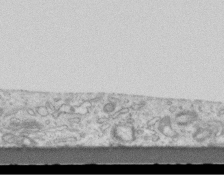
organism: Mouse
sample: Centriole in ependymal cells